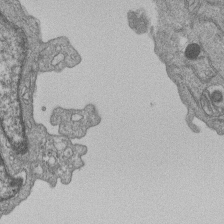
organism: Human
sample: MDA-MB-231 cells